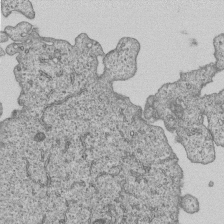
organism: Human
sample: MDA-MB-231 cells